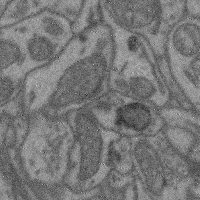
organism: Mouse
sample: Cerebral cortex